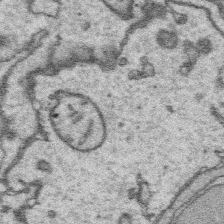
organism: Platynereis dumerilii